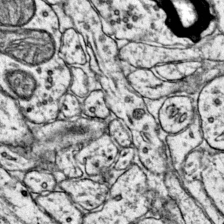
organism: Mouse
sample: Primary visual cortex